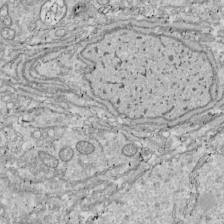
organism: Drosophila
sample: Cell division; meiosis; drosophila spermatocytes